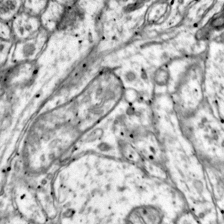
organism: Mouse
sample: Primary visual cortex